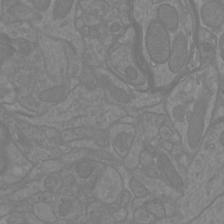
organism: Mouse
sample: Cortical neurons